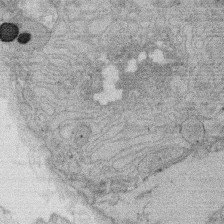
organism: Rat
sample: Salivary granule